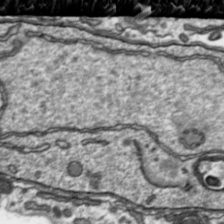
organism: Toxoplasma gondii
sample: Parasites in a vacuole inside a host cell